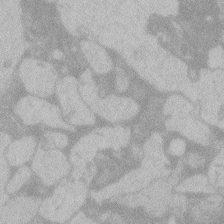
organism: Zebrafish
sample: Macrophage infected with Toxoplasma gondii